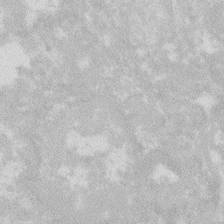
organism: Zebrafish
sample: Macrophage